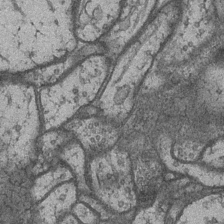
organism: Drosophila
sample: Optic medulla